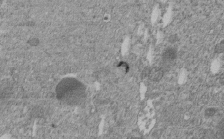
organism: C. elegans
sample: C. elegans embryo early stage